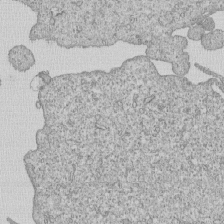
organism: Human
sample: MDA-MB-231 cells